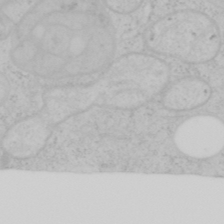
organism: Mouse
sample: OT-I killer T cells with ID8 ovarian cancer cells